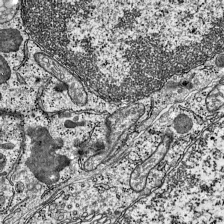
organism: Mouse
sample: Visual Cortex